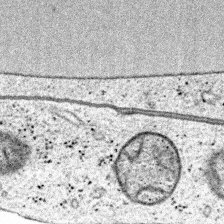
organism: Human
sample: HeLa cells